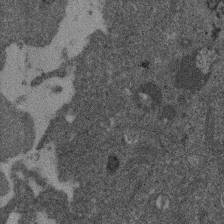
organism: Mouse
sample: Dividing mouse embryo 1 cell stage